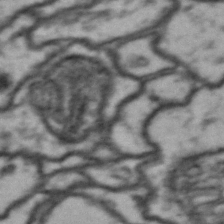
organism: Drosophila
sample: Brain